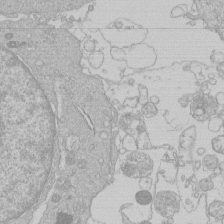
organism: Human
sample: Macrophage cells